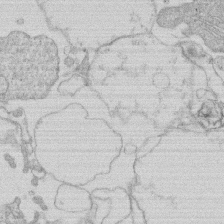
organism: Human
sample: Macrophage cells